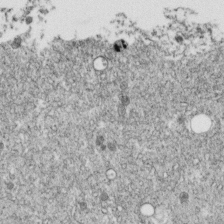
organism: C. elegans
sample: C. elegans embryo early stage